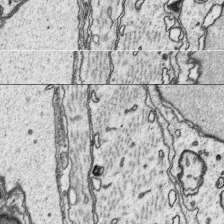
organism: Platynereis dumerilii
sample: Parapodia